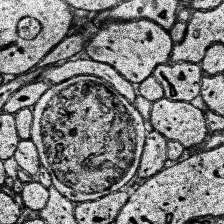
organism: Human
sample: Temporal Lobe